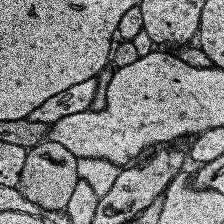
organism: Human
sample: Temporal Lobe